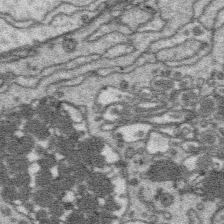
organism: Platynereis dumerilii